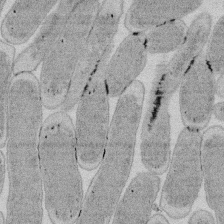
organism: E. coli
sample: Bacterial nucleoid